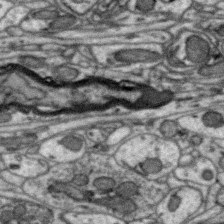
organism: Zebra finch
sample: Brain